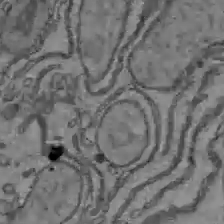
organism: C57BL Mouse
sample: Liver